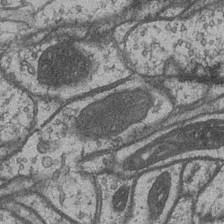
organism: Drosophila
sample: Optic medulla